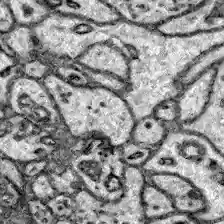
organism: Zebrafish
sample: Brain